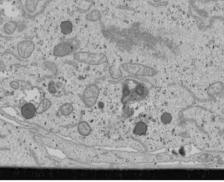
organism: Human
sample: Mitochondria in U2OS cells